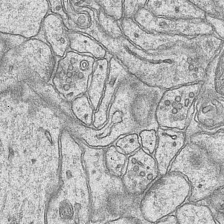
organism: Mouse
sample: CA1 Hippocampus